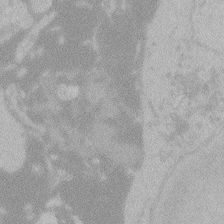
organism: Zebrafish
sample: Macrophage infected with Toxoplasma gondii